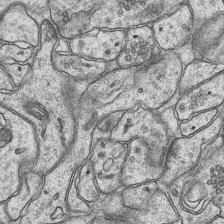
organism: Mouse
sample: CA1 Hippocampus